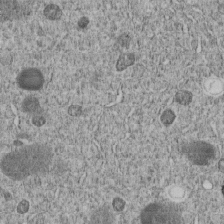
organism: C. elegans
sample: C. elegans embryo early stage